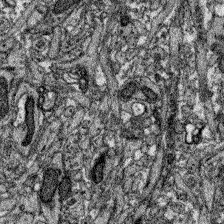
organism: Zebrafish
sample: Larval olfactory bulb